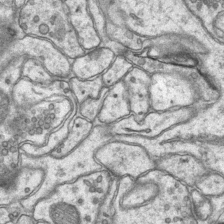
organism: Mouse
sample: CA1 Hippocampus